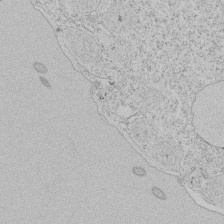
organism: Tetrahymena